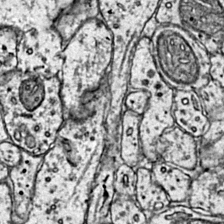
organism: Mouse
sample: Primary visual cortex